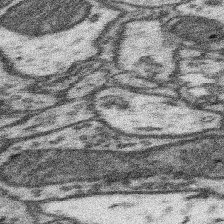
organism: Mouse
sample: Somatosensory cortex neuropil